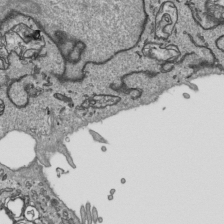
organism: Human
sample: Mitochondria in HCT116 cells